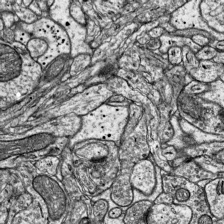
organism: Mouse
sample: Visual Cortex